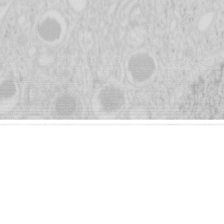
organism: Mouse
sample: Pancreas